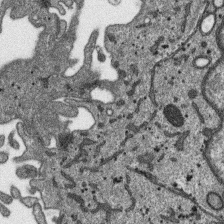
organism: Human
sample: Lung epithelial cells infected with SARS-CoV-2